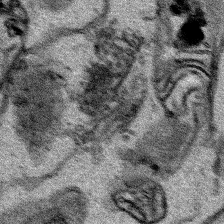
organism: Human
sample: Mitochondria in HCT116 cells